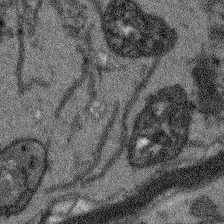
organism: Arabidopsis thaliana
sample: Root tip